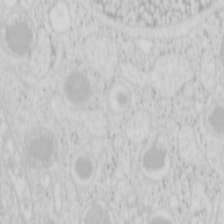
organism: Mouse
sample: Pancreas